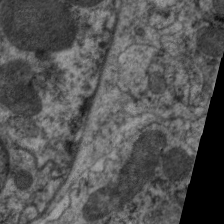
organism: C. elegans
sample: Pharynx